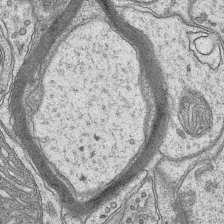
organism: Mouse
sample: CA1 Hippocampus